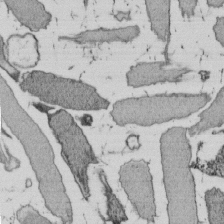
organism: E. coli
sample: Bacterial nucleoid